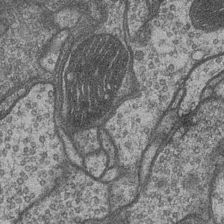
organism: Drosophila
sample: Optic medulla